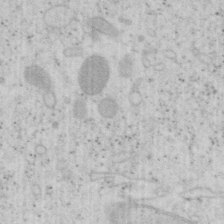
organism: Human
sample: HeLa cells